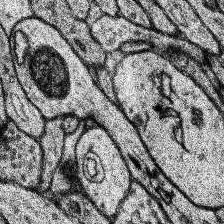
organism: Human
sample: Temporal Lobe